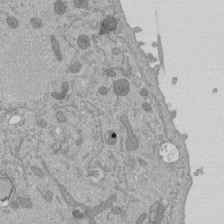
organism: Mouse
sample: ED-1 cell nuclei; centrioles